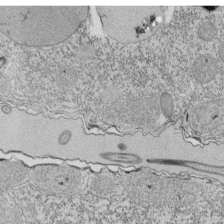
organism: Tetrahymena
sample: Cilia in tetrahymena